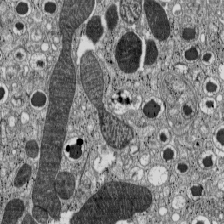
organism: C57BL Mouse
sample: Pancreatic islet